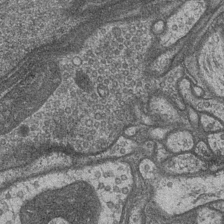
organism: Drosophila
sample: Optic medulla